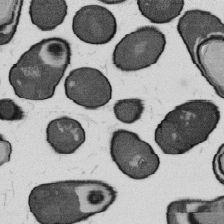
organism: B. subtilis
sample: Bacterial spore